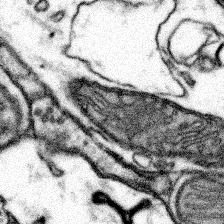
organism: Mouse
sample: Somatosensory cortex neuropil